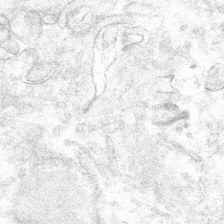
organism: Mouse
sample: Mouse hepatocytes